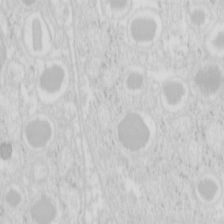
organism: Mouse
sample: Pancreas